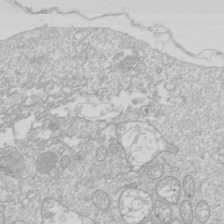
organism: Drosophila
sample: Cell division; meiosis; drosophila spermatocytes